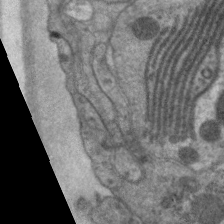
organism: C. elegans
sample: Pharynx